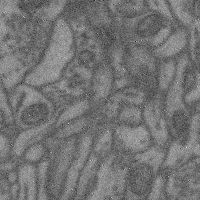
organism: Mouse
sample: Cerebral cortex